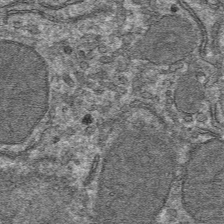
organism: Mouse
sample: Mouse hepatocytes